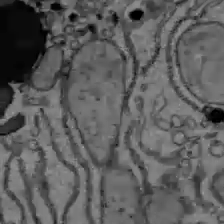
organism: C57BL Mouse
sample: Liver